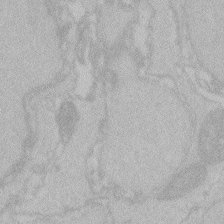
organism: Zebrafish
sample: Macrophage infected with Toxoplasma gondii